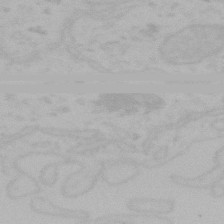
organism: Mouse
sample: Choroid plexus